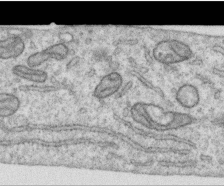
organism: Human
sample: Centriole in RPE cells